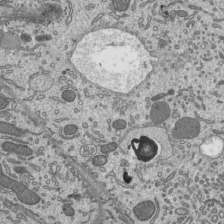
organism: Mouse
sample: Mouse epididymis efferent ductule cilia